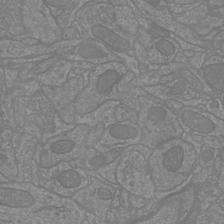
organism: Mouse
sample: Cortical neurons